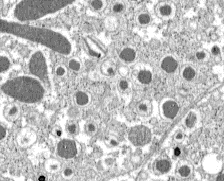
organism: C57BL Mouse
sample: Pancreatic islet